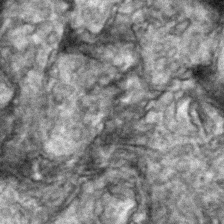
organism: Zebrafish